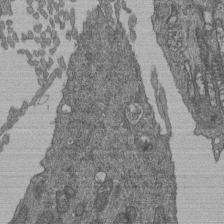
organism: Human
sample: Retinal organoid Rod and Cone cells